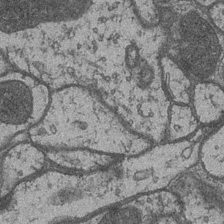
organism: Drosophila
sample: Optic medulla